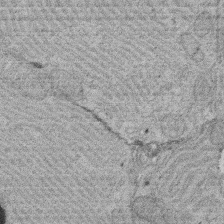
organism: Rat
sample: Salivary granule